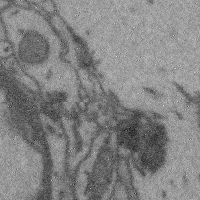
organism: Mouse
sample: Cerebral cortex